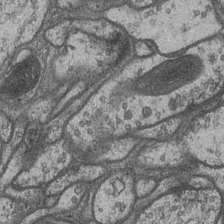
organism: Drosophila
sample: Optic medulla